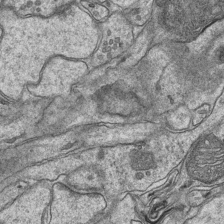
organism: Mouse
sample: CA1 Hippocampus